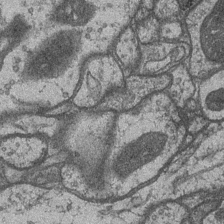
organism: Drosophila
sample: Optic medulla